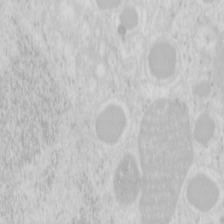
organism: Mouse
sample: Pancreas